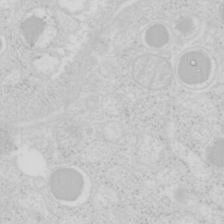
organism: Mouse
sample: Pancreas